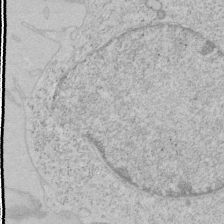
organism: Human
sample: Mitochondria in HCT116 cells